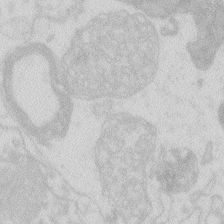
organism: Zebrafish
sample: Macrophage